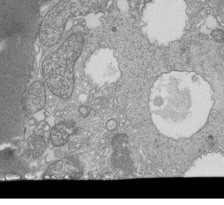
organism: Tetrahymena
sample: Cilia in tetrahymena